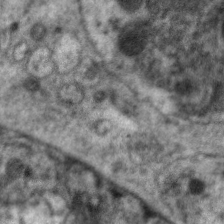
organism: C. elegans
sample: Pharynx